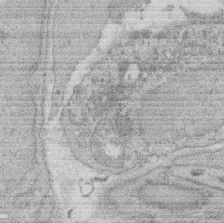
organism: Rat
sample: Salivary granule